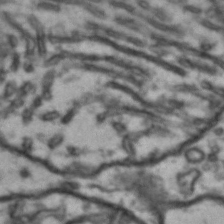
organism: Drosophila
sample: Brain